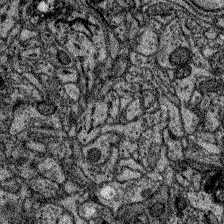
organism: Zebrafish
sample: Larval olfactory bulb